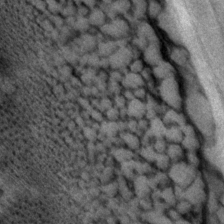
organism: P. pacificus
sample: Pharynx